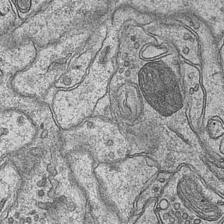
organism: Mouse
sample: CA1 Hippocampus